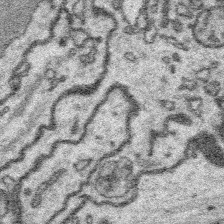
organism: Platynereis dumerilii